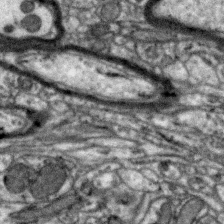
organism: Zebra finch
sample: Brain